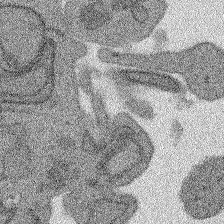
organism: Human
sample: HeLa cells